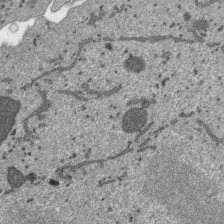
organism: Human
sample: Lung epithelial cells infected with SARS-CoV-2